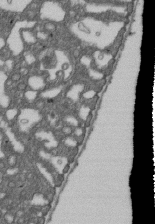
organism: Drosophila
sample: Nephrocyte